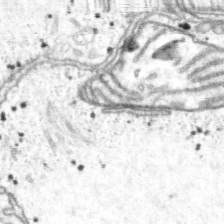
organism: Human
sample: HeLa cells